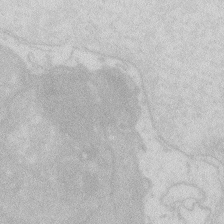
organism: Zebrafish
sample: Macrophage